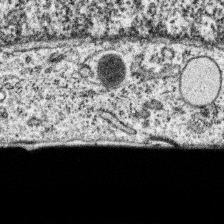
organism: Human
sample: HeLa cells